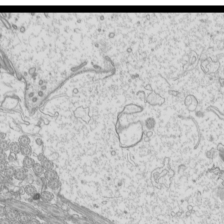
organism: Mouse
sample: Cilia; mouse epididymis